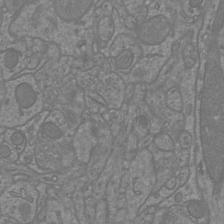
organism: Mouse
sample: Cortical neurons